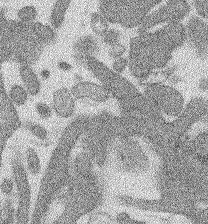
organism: Human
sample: HeLa cells